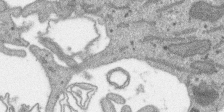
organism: Human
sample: Lung epithelial cells infected with SARS-CoV-2